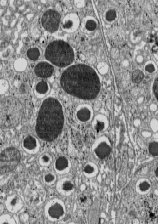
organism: C57BL Mouse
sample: Pancreatic islet